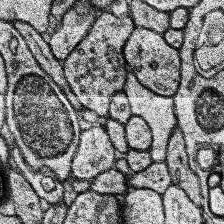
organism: Human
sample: Temporal Lobe